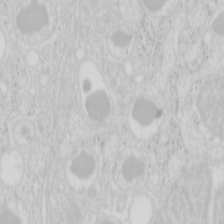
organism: Mouse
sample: Pancreas